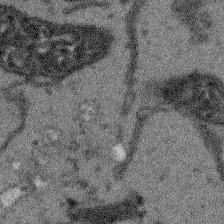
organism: Arabidopsis thaliana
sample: Root tip